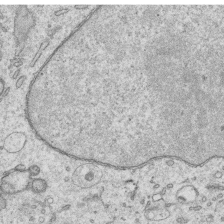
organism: Human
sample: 1205lu cells